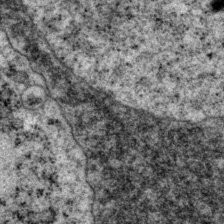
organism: P. pacificus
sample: Pharynx